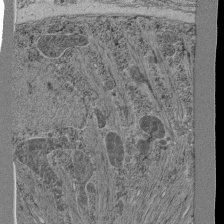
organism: C. elegans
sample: C. elegans pharynx